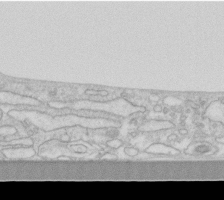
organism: Human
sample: Fibroblast cells